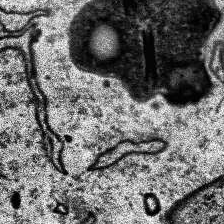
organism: Human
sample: Temporal Lobe